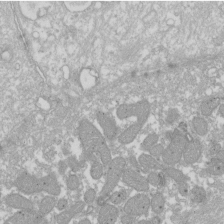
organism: Xenopus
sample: Cilia; centrioles in frog embryo cells